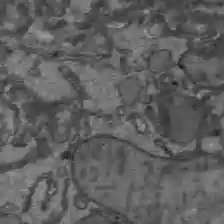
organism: C57BL Mouse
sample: Liver